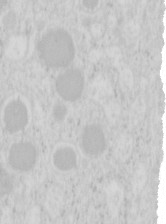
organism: Mouse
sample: Pancreas